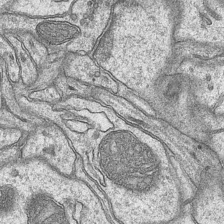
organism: Mouse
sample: CA1 Hippocampus